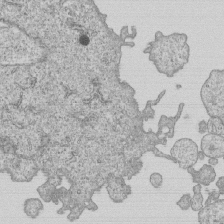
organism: Human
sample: MDA-MB-231 cells